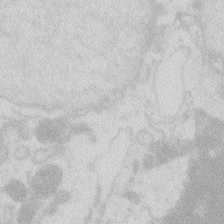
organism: Zebrafish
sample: Macrophage